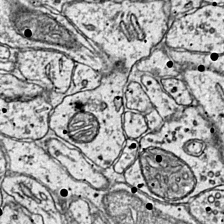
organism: Mouse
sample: Primary visual cortex